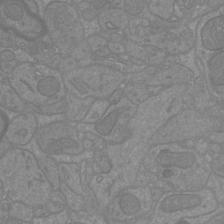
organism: Mouse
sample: Cortical neurons